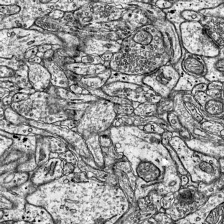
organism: Mouse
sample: Visual Cortex